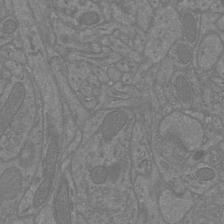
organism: Mouse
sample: Cortical neurons